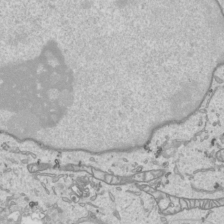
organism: Human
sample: Mitochondria in HCT116 cells